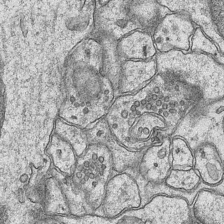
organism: Mouse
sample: CA1 Hippocampus